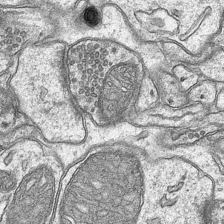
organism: Mouse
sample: CA1 Hippocampus